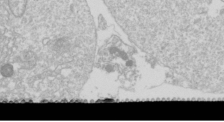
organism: Drosophila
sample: Cell division; meiosis; drosophila spermatocytes